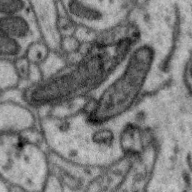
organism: Zebra finch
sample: Brain